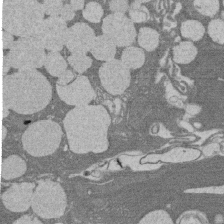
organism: Rat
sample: Salivary granule